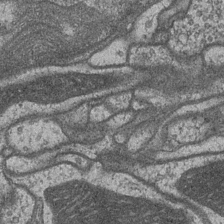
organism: Drosophila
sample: Optic medulla